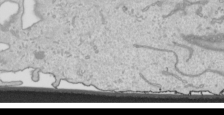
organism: Human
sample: Mitochondria in HCT116 cells